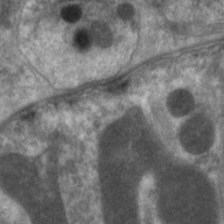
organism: C. elegans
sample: Pharynx